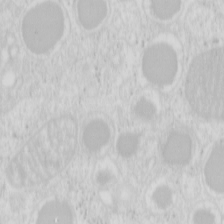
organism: Mouse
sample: Pancreas